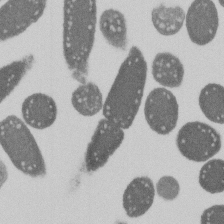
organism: E. coli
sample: Bacterial nucleoid